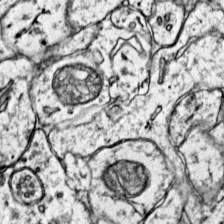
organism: Mouse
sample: Primary visual cortex